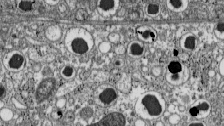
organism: C57BL Mouse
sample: Pancreatic islet